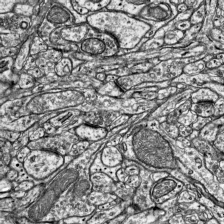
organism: Mouse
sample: Visual Cortex